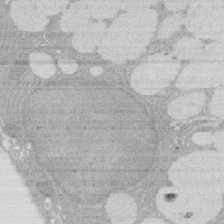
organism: Rat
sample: Salivary granule